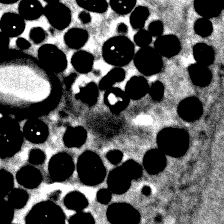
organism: Zebrafish